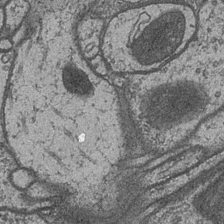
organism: Drosophila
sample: Optic medulla